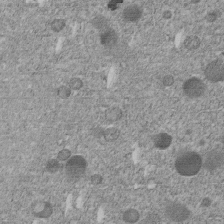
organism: C. elegans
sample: C. elegans embryo early stage